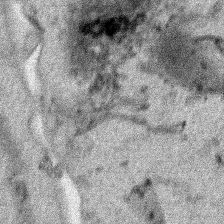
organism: Human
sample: Mitochondria in HCT116 cells